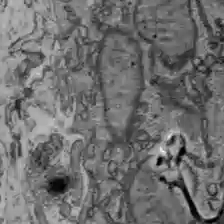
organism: C57BL Mouse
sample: Liver